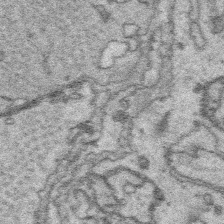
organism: Platynereis dumerilii